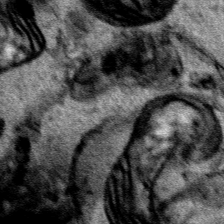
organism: Human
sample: Mitochondria in HCT116 cells